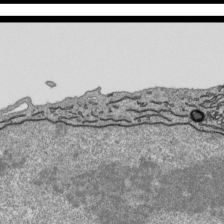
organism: Human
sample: Mitochondria in HCT116 cells